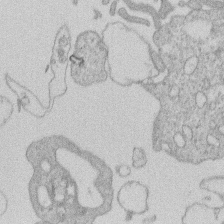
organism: Human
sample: Macrophage cells